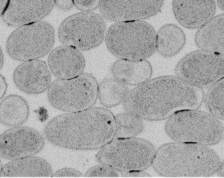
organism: E. coli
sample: Bacterial nucleoid